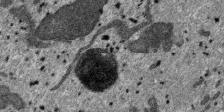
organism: Human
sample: Lung epithelial cells, uninfected (mock) control